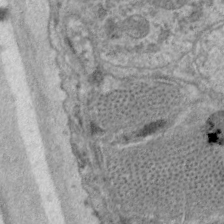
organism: C. elegans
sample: Pharynx